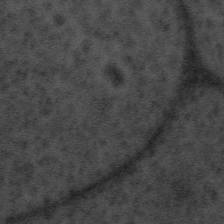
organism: Tuwongella immobilis